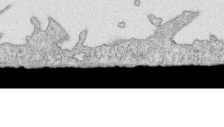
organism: Human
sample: HeLa cell HIV synapse